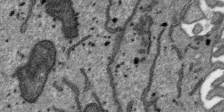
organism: Human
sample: Lung epithelial cells, uninfected (mock) control